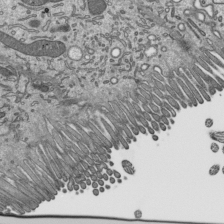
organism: Mouse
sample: Mouse epididymis efferent ductule cilia